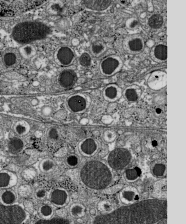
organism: C57BL Mouse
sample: Pancreatic islet